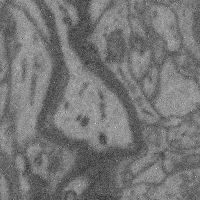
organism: Mouse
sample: Cerebral cortex